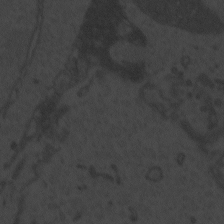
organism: Zebrafish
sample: Macrophage infected with Toxoplasma gondii